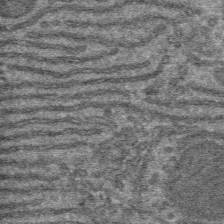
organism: Mouse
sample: Mouse hepatocytes